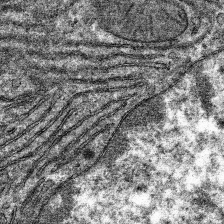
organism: Mouse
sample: Mouse hepatocytes